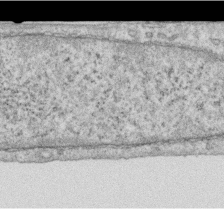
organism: Human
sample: Centriole in RPE cells